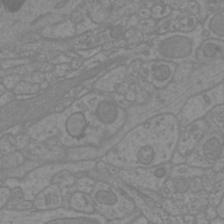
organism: Mouse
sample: Cortical neurons